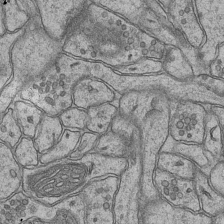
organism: Mouse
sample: CA1 Hippocampus